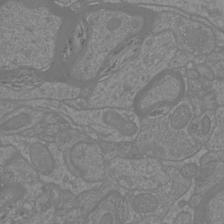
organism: Mouse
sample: Cortical neurons